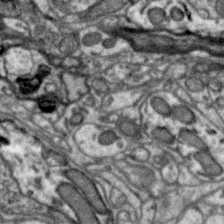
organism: Zebra finch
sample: Brain